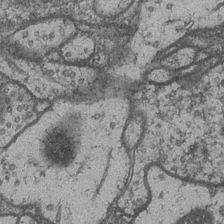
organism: Drosophila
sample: Optic medulla